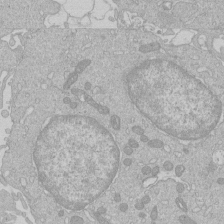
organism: Human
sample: Macrophage cells